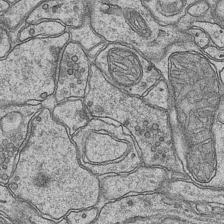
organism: Mouse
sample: CA1 Hippocampus